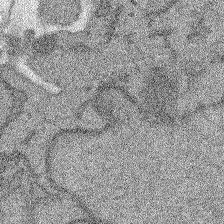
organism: Human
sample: HeLa cells